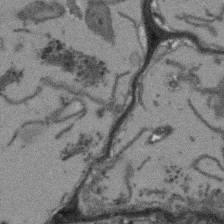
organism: Arabidopsis thaliana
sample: Root tip